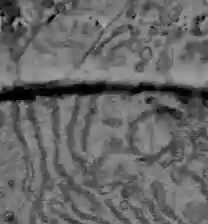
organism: C57BL Mouse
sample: Liver